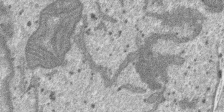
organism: Human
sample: Lung epithelial cells infected with SARS-CoV-2